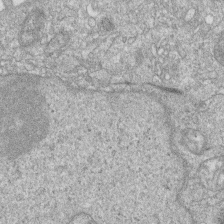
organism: Human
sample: HeLa cell HIV synapse